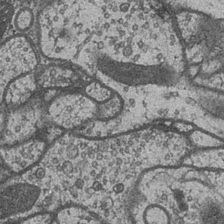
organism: Drosophila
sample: Optic medulla